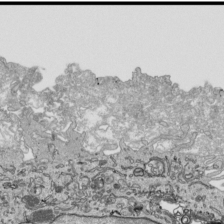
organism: Human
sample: Mitochondria in HCT116 cells